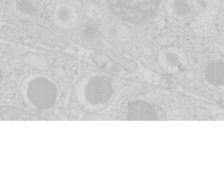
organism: Mouse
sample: Pancreas